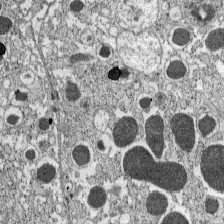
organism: C57BL Mouse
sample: Pancreatic islet